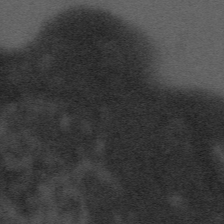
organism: Tuwongella immobilis